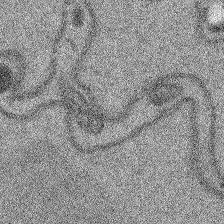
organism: Human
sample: HeLa cells